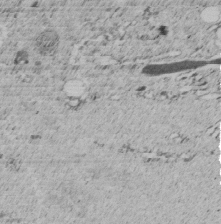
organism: C. elegans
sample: C. elegans embryo early stage